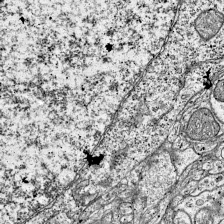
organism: Mouse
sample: Visual Cortex